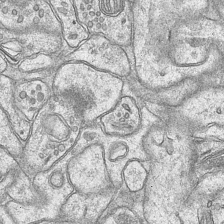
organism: Mouse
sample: CA1 Hippocampus